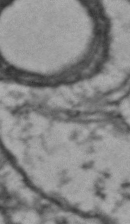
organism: Drosophila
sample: Brain